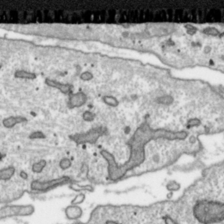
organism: Toxoplasma gondii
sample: Parasites in a vacuole inside a host cell